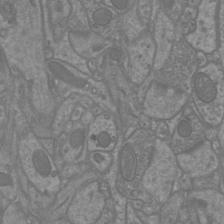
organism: Mouse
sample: Cortical neurons